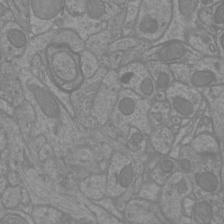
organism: Mouse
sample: Cortical neurons